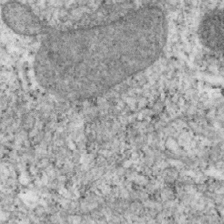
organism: Mouse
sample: OT-I killer T cells with ID8 ovarian cancer cells